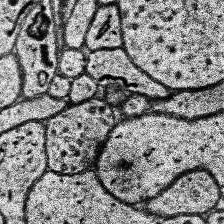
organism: Human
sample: Temporal Lobe